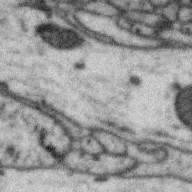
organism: Zebra finch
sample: Brain